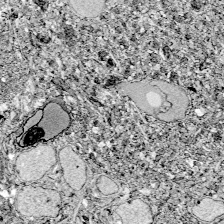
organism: Zebrafish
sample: Whole-Brain